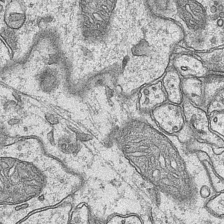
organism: Mouse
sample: CA1 Hippocampus